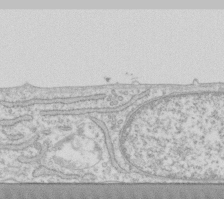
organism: Human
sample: Fibroblast cells